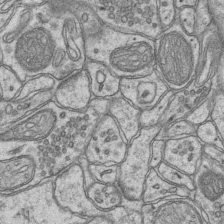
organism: Mouse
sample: CA1 Hippocampus